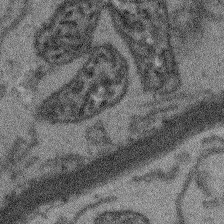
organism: Arabidopsis thaliana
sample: Root tip